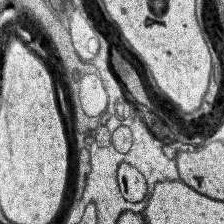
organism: Human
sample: Temporal Lobe